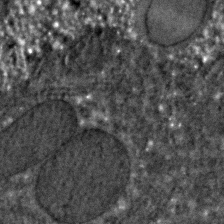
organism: C. elegans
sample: C. elegans embryo